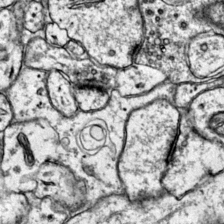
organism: Mouse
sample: Primary visual cortex